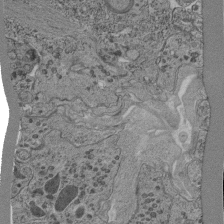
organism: C. elegans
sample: C. elegans pharynx